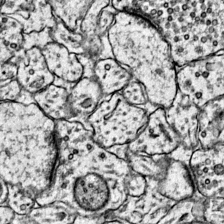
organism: Mouse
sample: Primary visual cortex